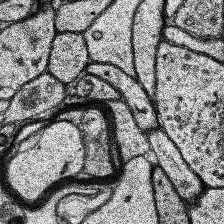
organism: Human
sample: Temporal Lobe